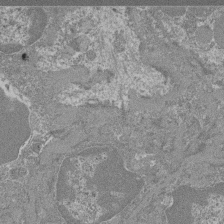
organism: Mouse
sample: Glomerulus